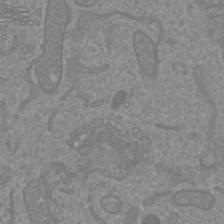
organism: Mouse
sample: Cortical neurons